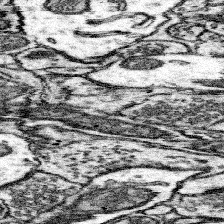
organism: Mouse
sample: Somatosensory cortex neuropil